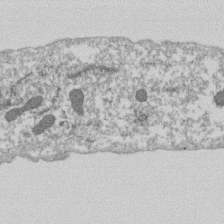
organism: Dictyostelium discoideum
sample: Dictyostelium multivesicular bodies